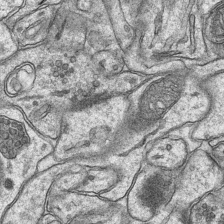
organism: Mouse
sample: CA1 Hippocampus